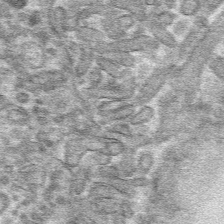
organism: Mouse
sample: Mouse hepatocytes